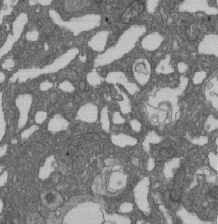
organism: Drosophila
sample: Nephrocyte